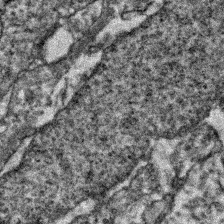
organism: Zebrafish